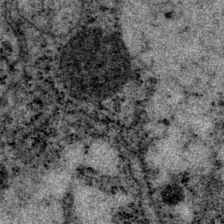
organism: P. pacificus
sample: Pharynx